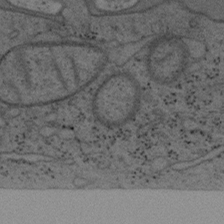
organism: Human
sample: HeLa cells